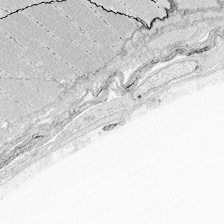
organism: Zebrafish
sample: Whole-Brain